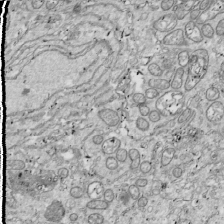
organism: Drosophila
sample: Cell division; meiosis; drosophila spermatocytes